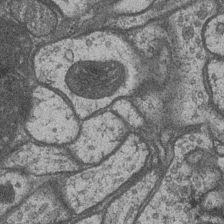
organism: Drosophila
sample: Optic medulla